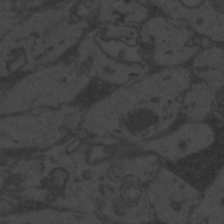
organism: Zebrafish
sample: Macrophage infected with Toxoplasma gondii